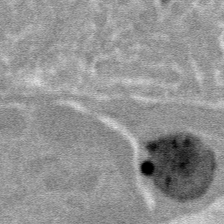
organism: Mouse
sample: Mouse hepatocytes